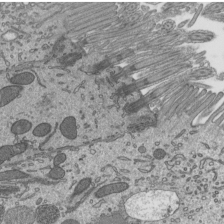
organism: Mouse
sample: Mouse epididymis efferent ductule cilia